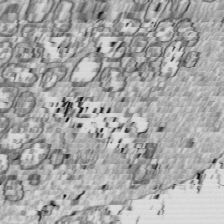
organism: Drosophila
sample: Cell division; meiosis; drosophila spermatocytes